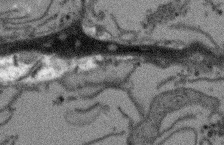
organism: Arabidopsis thaliana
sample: Root tip